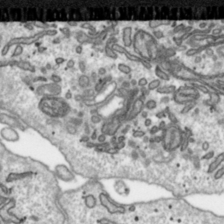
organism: Toxoplasma gondii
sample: Parasites in a vacuole inside a host cell